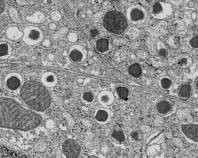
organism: C57BL Mouse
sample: Pancreatic islet